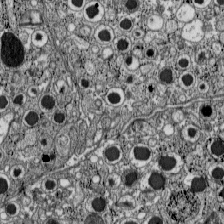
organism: C57BL Mouse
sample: Pancreatic islet